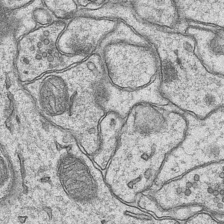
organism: Mouse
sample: CA1 Hippocampus